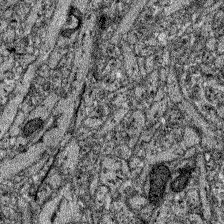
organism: Zebrafish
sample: Larval olfactory bulb